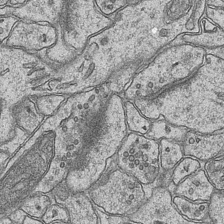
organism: Mouse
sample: CA1 Hippocampus